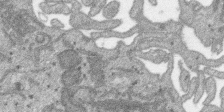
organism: Human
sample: Lung epithelial cells infected with SARS-CoV-2